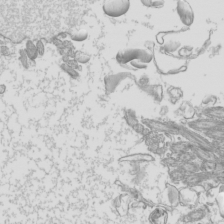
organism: Mouse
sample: Cilia; mouse epididymis